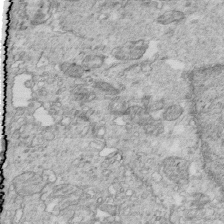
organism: Mouse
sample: Multiciliated cells